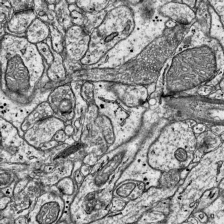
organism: Mouse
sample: Visual Cortex